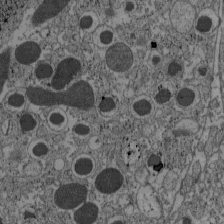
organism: C57BL Mouse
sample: Pancreatic islet